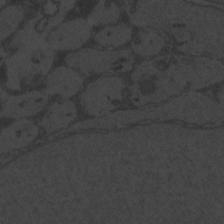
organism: Zebrafish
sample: Macrophage infected with Toxoplasma gondii